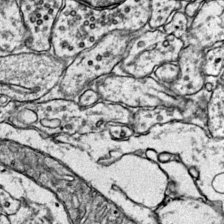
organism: Mouse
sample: Primary visual cortex